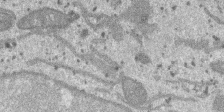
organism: Human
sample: Lung epithelial cells infected with SARS-CoV-2